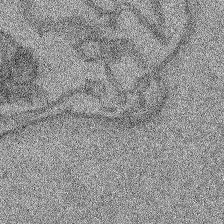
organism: Human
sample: HeLa cells